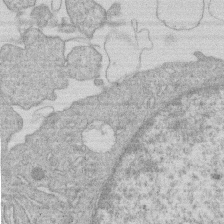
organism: Human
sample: Macrophage cells